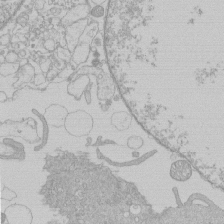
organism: Human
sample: Macrophage cells